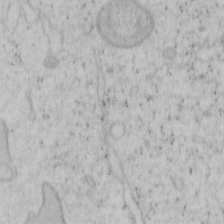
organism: Human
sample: HeLa cells